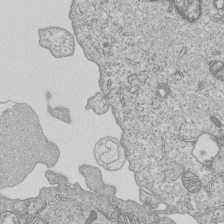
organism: Human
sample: MDA-MB-231 cells